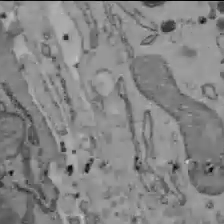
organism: C57BL Mouse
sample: Liver